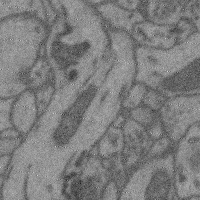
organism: Mouse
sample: Cerebral cortex